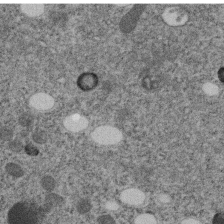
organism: C. elegans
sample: C. elegans embryo early stage